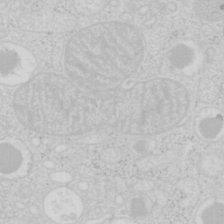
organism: Mouse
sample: Pancreas